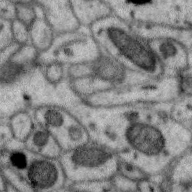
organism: Zebra finch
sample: Brain